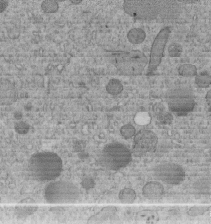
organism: C. elegans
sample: C. elegans embryo early stage